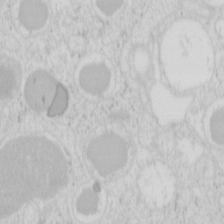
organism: Mouse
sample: Pancreas